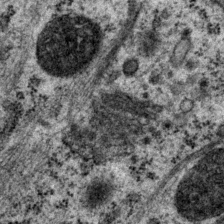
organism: P. pacificus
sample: Pharynx